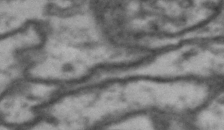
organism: Drosophila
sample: Brain